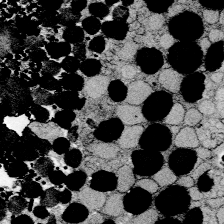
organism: Zebrafish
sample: Whole-Brain